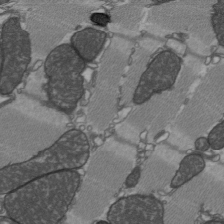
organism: C57BL Mouse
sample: Heart